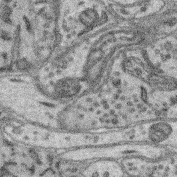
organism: Mouse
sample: Retina